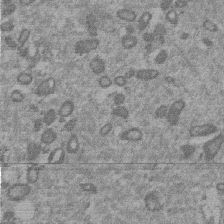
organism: Mouse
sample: Dividing mouse embryo 1 cell stage